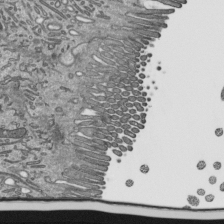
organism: Mouse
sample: Mouse epididymis efferent ductule cilia